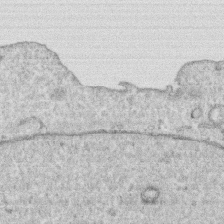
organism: Human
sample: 1205lu cells